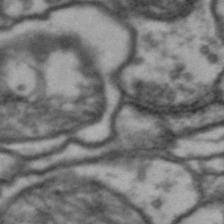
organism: Drosophila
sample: Brain